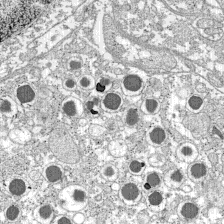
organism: C57BL Mouse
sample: Pancreatic islet